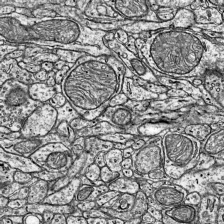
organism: Mouse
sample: Visual Cortex